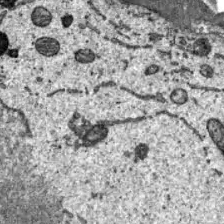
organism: Human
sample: HeLa cells